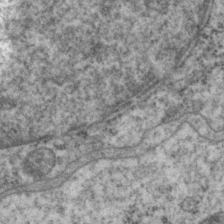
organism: P. pacificus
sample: Pharynx